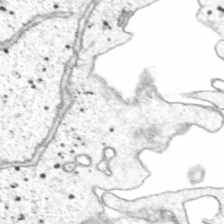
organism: Human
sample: HeLa cells